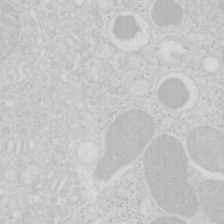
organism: Mouse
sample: Pancreas